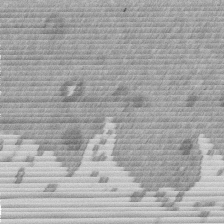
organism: Mouse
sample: Dividing mouse embryo 1 cell stage